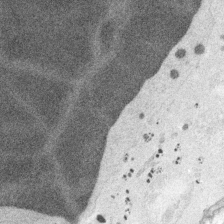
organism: Embia sp.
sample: Silk gland